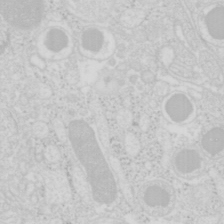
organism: Mouse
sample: Pancreas